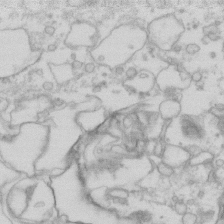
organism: Human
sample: Fibroblast cells